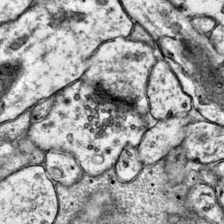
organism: Mouse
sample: Primary visual cortex